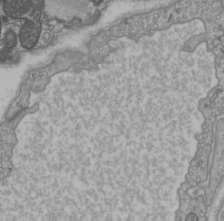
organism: C57BL Mouse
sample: Heart